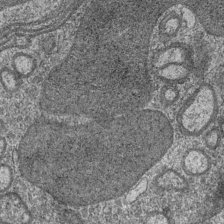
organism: Drosophila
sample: Optic medulla